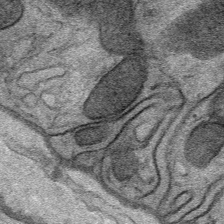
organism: Mouse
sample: Mouse Salivary gland